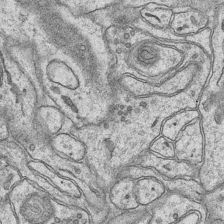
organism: Mouse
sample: CA1 Hippocampus